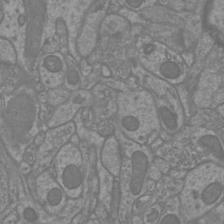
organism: Mouse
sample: Cortical neurons